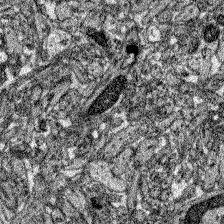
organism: Zebrafish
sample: Larval olfactory bulb